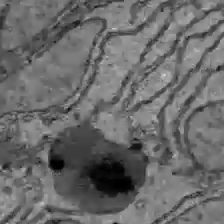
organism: C57BL Mouse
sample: Liver